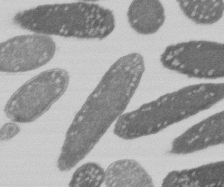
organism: E. coli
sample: Bacterial nucleoid